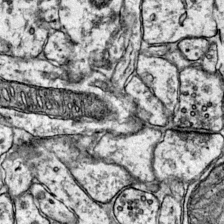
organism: Mouse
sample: Primary visual cortex